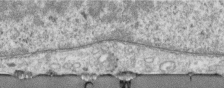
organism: Human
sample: Centriole in RPE cells